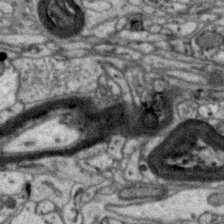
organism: Zebra finch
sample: Brain